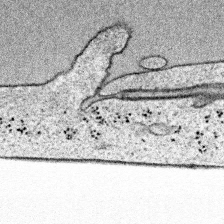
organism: Human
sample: HeLa cells